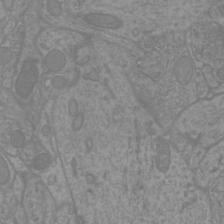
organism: Mouse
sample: Cortical neurons